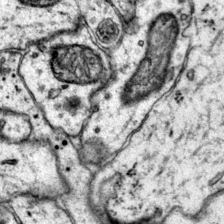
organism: Mouse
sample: Primary visual cortex